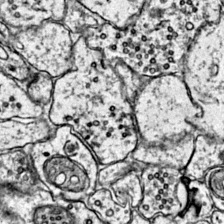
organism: Mouse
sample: Primary visual cortex